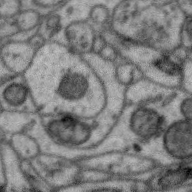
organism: Zebra finch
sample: Brain